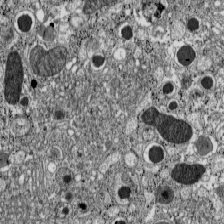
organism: C57BL Mouse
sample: Pancreatic islet